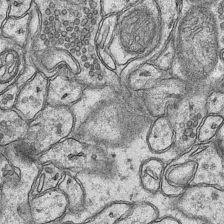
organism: Mouse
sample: CA1 Hippocampus